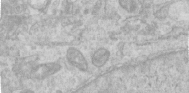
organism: Human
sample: Centriole in RPE cells